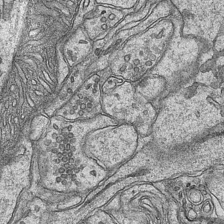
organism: Mouse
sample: CA1 Hippocampus